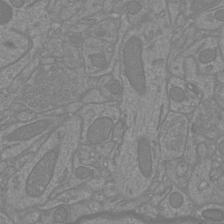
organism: Mouse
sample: Cortical neurons